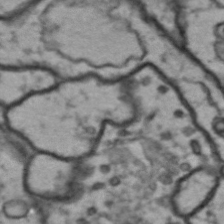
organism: Drosophila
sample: Brain